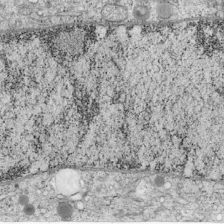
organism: African green monkey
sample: COS-7 cells